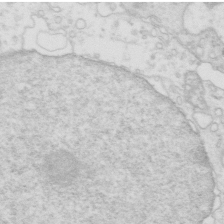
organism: Mouse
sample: Multiciliated cells